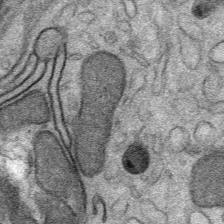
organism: Mouse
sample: Mouse Salivary gland